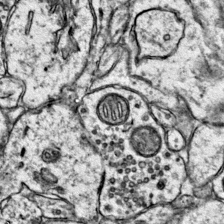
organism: Mouse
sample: Primary visual cortex